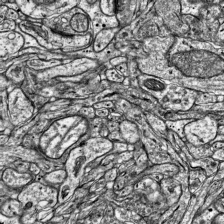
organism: Mouse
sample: Visual Cortex